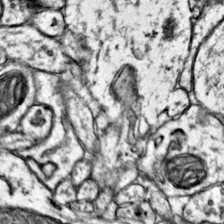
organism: Mouse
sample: Primary visual cortex